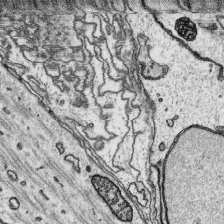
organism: Platynereis dumerilii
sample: Parapodia